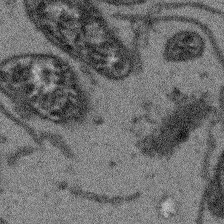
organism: Arabidopsis thaliana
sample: Root tip